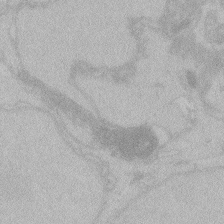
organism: Zebrafish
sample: Macrophage infected with Toxoplasma gondii